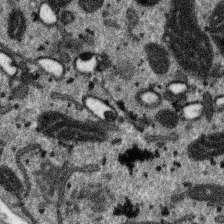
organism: Human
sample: Lung epithelial cells infected with SARS-CoV-2